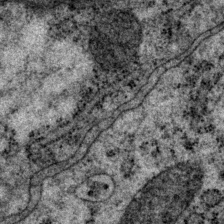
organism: P. pacificus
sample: Pharynx